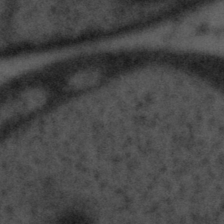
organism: Tuwongella immobilis